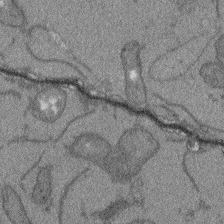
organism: Arabidopsis thaliana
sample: Root tip